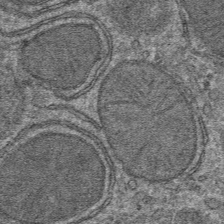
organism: Mouse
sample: Mouse hepatocytes